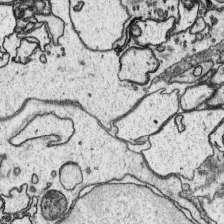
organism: Platynereis dumerilii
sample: Parapodia